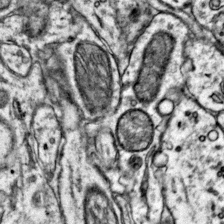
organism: Mouse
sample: Primary visual cortex